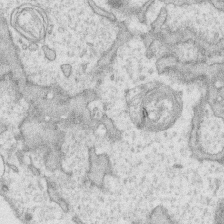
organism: Human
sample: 1205lu cells